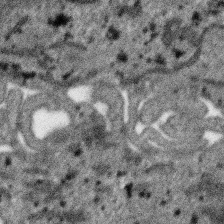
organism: Human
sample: Lung epithelial cells infected with SARS-CoV-2